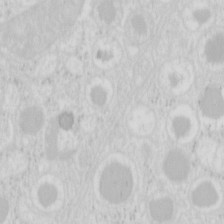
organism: Mouse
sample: Pancreas